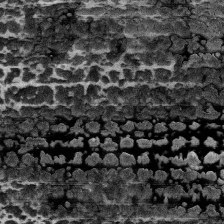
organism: Human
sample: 1205lu cells